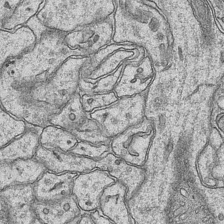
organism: Mouse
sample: CA1 Hippocampus